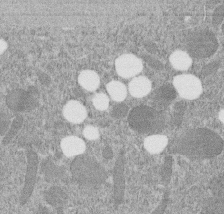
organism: C. elegans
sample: C. elegans embryo early stage